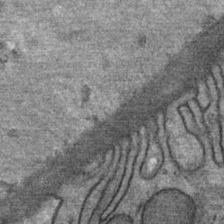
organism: Mouse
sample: Mouse Salivary gland